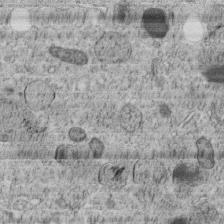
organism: C. elegans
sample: C. elegans embryo early stage